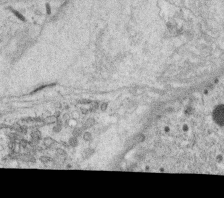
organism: C. elegans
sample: C. elegans oocyte; sperm cells